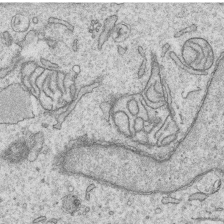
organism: Human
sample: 1205lu cells